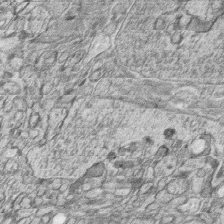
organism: Zebrafish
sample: synaptic ribbons in rod cells and cone cells